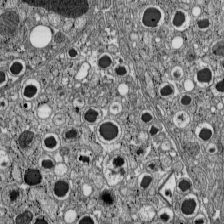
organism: C57BL Mouse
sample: Pancreatic islet